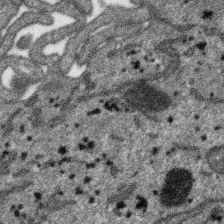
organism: Human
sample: Lung epithelial cells infected with SARS-CoV-2